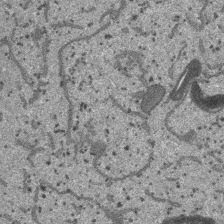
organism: Human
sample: Lung epithelial cells infected with SARS-CoV-2